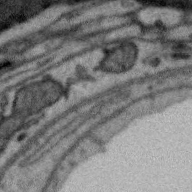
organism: Zebra finch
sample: Brain